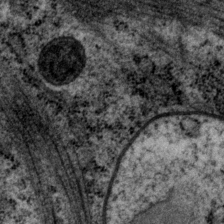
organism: P. pacificus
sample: Pharynx